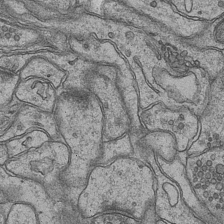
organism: Mouse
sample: CA1 Hippocampus